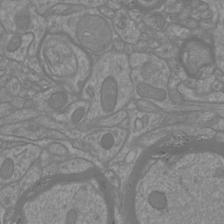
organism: Mouse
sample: Cortical neurons